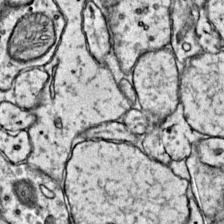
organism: Mouse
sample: Primary visual cortex